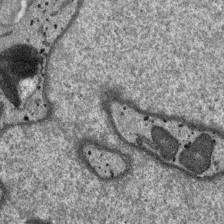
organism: Human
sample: Lung epithelial cells, uninfected (mock) control